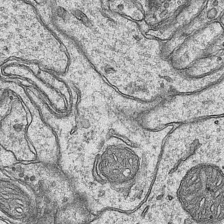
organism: Mouse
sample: CA1 Hippocampus